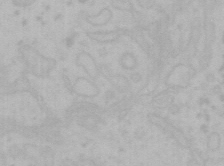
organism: Mouse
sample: Choroid plexus